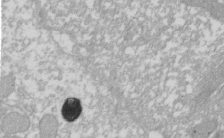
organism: Xenopus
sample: Cilia; centrioles in frog embryo cells